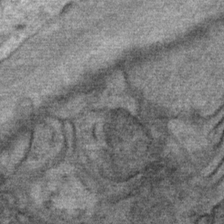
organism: Mouse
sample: Mouse Salivary gland